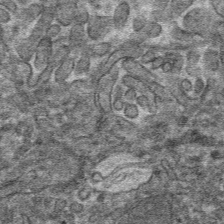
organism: Mouse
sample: Mouse hepatocytes